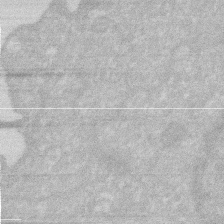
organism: Human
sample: HIV infected U937 cells